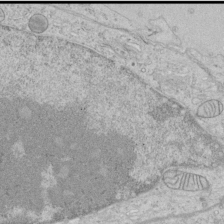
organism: Human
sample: Mitochondria in HCT116 cells